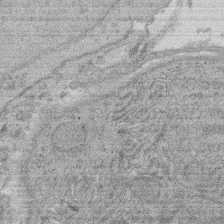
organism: Rat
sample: Salivary granule